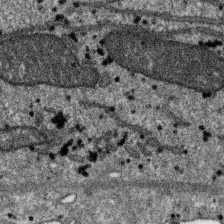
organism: Human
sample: Lung epithelial cells infected with SARS-CoV-2